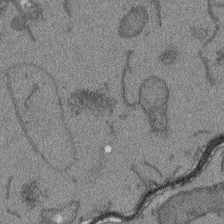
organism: Arabidopsis thaliana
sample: Root tip